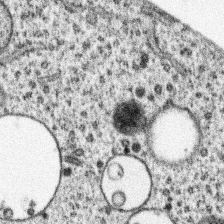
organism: Human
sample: HeLa cells